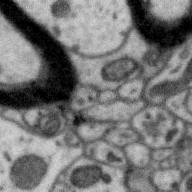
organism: Zebra finch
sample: Brain